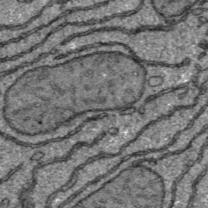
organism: C57BL Mouse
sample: Liver